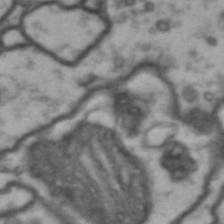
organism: Drosophila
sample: Brain